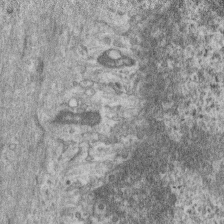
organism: Mouse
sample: Centriole in ependymal cells